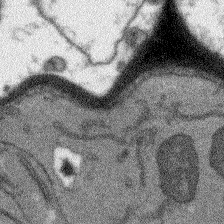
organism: Arabidopsis thaliana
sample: Root tip